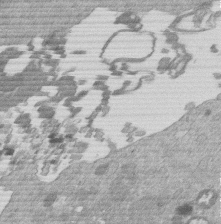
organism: Mouse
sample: Dividing mouse embryo 1 cell stage